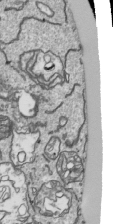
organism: Human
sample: Mitochondria in HCT116 cells